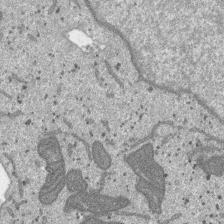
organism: Human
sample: Lung epithelial cells infected with SARS-CoV-2